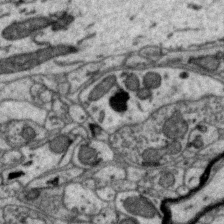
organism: Zebra finch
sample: Brain